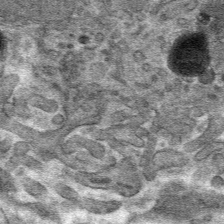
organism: Mouse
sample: Mouse hepatocytes